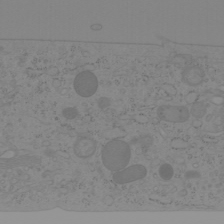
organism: Human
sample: HeLa cells